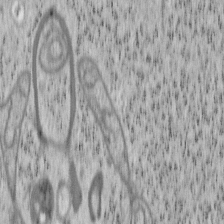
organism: Human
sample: HeLa cells